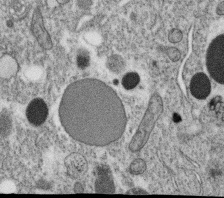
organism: C. elegans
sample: C. elegans oocyte; sperm cells